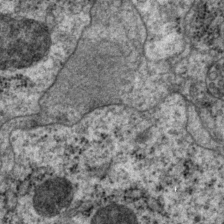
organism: P. pacificus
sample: Pharynx